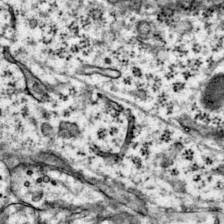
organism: Mouse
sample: Primary visual cortex